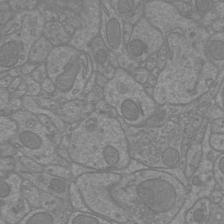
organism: Mouse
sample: Cortical neurons